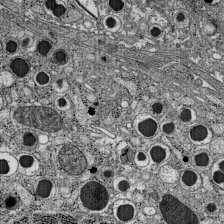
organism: C57BL Mouse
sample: Pancreatic islet